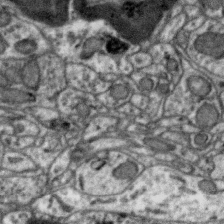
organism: Zebra finch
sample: Brain